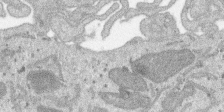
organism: Human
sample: Lung epithelial cells infected with SARS-CoV-2